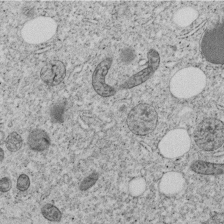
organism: C. elegans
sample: C. elegans embryo early stage